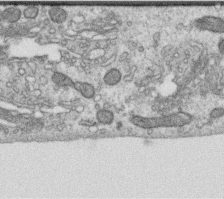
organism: Human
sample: Centriole in RPE cells